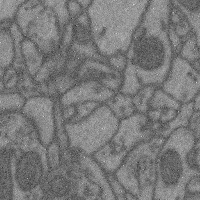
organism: Mouse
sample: Cerebral cortex